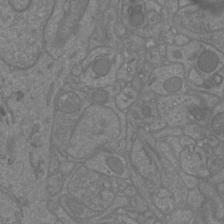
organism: Mouse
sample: Cortical neurons